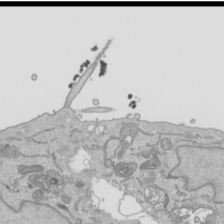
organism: Human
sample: Mitochondria in HCT116 cells